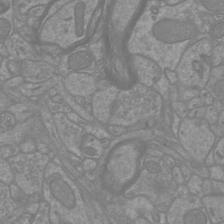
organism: Mouse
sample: Cortical neurons